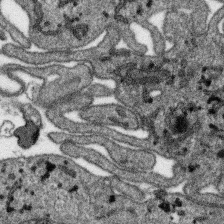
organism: Human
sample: Lung epithelial cells infected with SARS-CoV-2